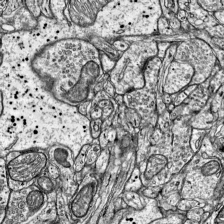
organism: Mouse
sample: Visual Cortex